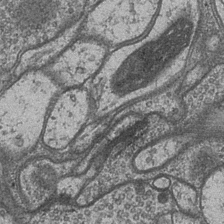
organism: Drosophila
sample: Optic medulla